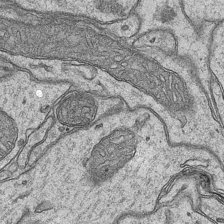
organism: Mouse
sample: CA1 Hippocampus